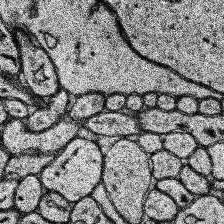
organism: Human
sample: Temporal Lobe